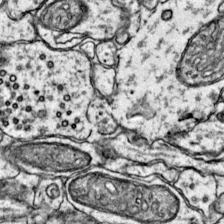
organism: Mouse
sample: Primary visual cortex